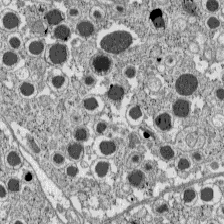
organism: C57BL Mouse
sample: Pancreatic islet